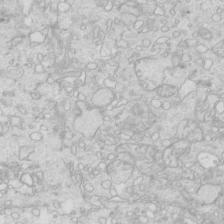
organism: Mouse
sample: Multiciliated cells